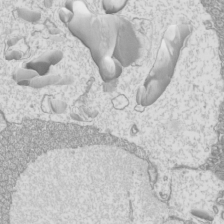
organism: Mouse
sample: Cilia; mouse epididymis